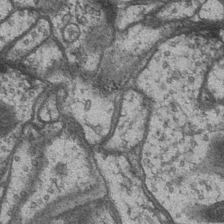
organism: Drosophila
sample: Optic medulla